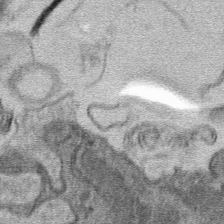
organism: Mouse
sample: Mouse hepatocytes